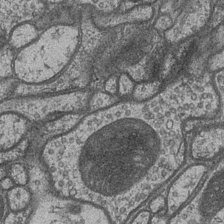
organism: Drosophila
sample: Optic medulla